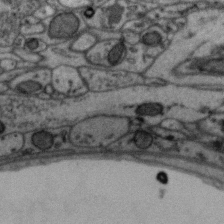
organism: Zebra finch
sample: Brain